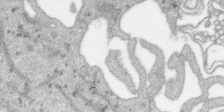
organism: Human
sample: Lung epithelial cells infected with SARS-CoV-2